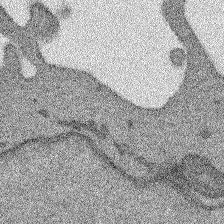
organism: Human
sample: HeLa cells